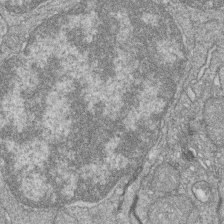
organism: Zebrafish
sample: Cilia; retinal pigment epithelium